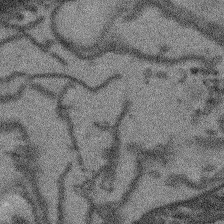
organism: Arabidopsis thaliana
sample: Root tip